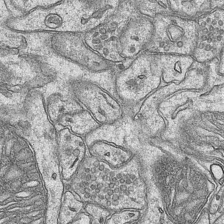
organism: Mouse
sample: CA1 Hippocampus